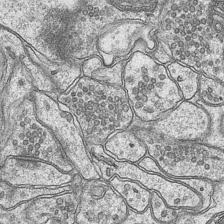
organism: Mouse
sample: CA1 Hippocampus